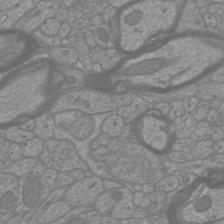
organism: Mouse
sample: Cortical neurons